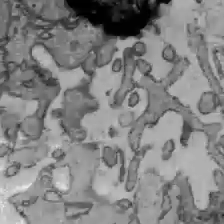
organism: C57BL Mouse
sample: Liver